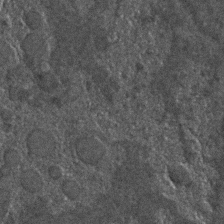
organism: C. elegans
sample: C. elegans embryo